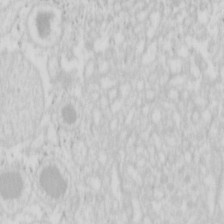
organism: Mouse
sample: Pancreas